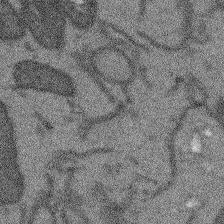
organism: Arabidopsis thaliana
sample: Root tip